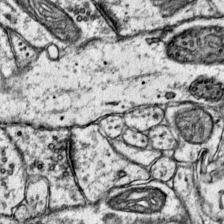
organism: Mouse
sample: Primary visual cortex